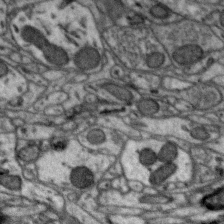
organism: Zebra finch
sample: Brain